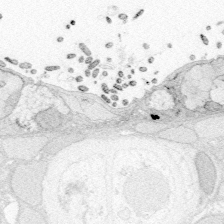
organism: Zebrafish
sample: Whole-Brain